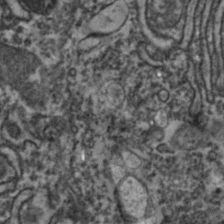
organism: Zebrafish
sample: Zebrafish embryo